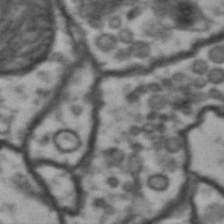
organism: Drosophila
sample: Brain